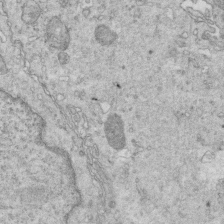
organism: Mouse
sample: Multiciliated cells